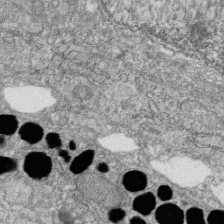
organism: Zebrafish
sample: Cilia; retinal pigment epithelium